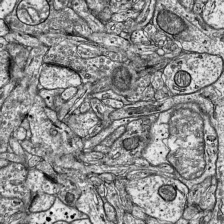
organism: Mouse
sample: Visual Cortex